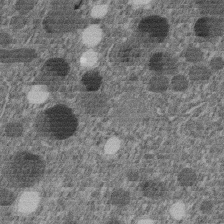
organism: C. elegans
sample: C. elegans embryo early stage